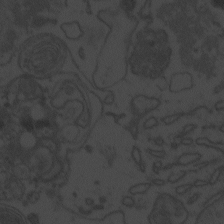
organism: Zebrafish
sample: Macrophage infected with Toxoplasma gondii